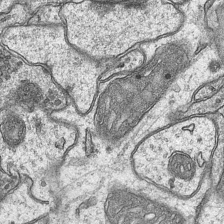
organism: Mouse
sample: CA1 Hippocampus